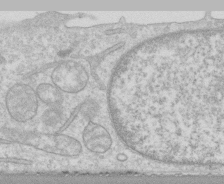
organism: Human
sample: CRL-1474